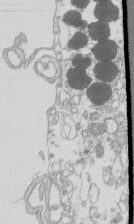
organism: Mouse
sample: Macrophages